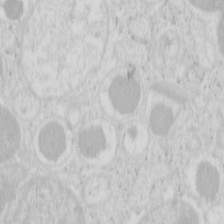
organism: Mouse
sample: Pancreas